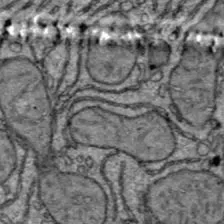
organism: C57BL Mouse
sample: Liver